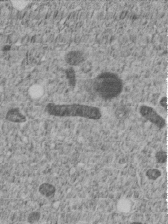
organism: C. elegans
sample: C. elegans embryo early stage